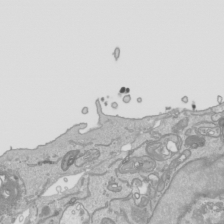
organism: Human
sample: Mitochondria in HCT116 cells